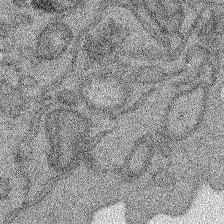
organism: Human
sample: HeLa cells